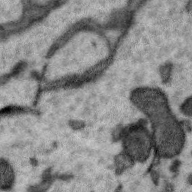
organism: Zebra finch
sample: Brain